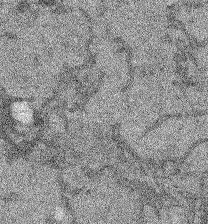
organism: Human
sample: HeLa cells